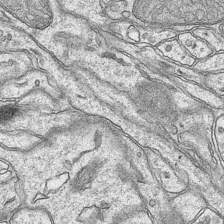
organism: Mouse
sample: CA1 Hippocampus